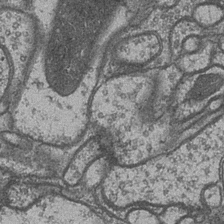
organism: Drosophila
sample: Optic medulla